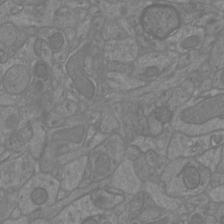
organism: Mouse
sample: Cortical neurons